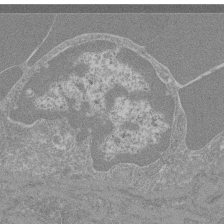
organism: Mouse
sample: Glomerulus